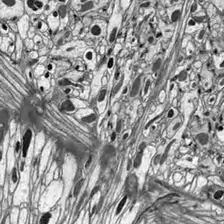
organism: Drosophila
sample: Optic lobe